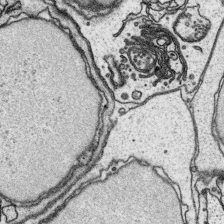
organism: Platynereis dumerilii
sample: Parapodia